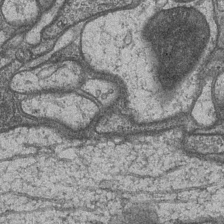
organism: Drosophila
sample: Optic medulla